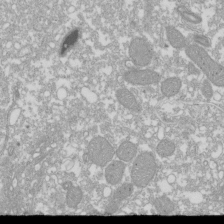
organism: Xenopus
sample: Cilia; centrioles in frog embryo cells